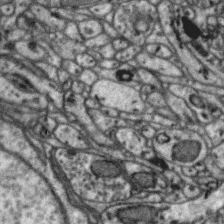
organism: Zebra finch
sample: Brain